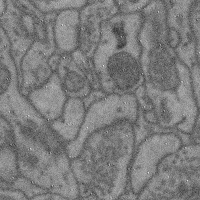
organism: Mouse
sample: Cerebral cortex